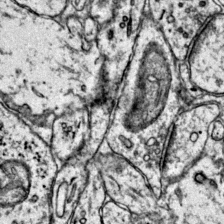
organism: Mouse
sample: Primary visual cortex